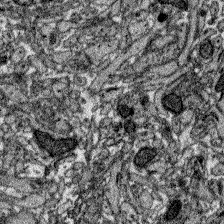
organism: Zebrafish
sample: Larval olfactory bulb